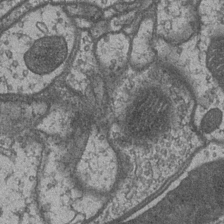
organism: Drosophila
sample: Optic medulla